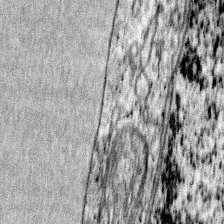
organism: Human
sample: HeLa cells